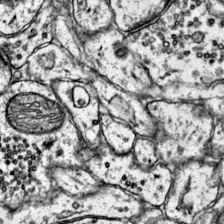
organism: Mouse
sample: Primary visual cortex